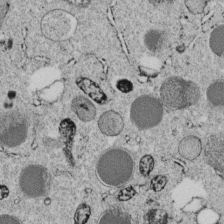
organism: C. elegans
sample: C. elegans embryo early stage